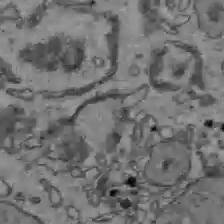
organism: C57BL Mouse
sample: Liver